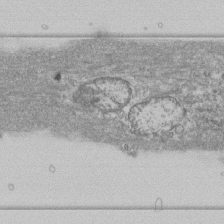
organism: Human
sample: Fibroblast cells